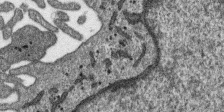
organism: Human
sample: Lung epithelial cells infected with SARS-CoV-2